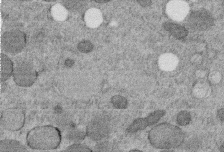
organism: C. elegans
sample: C. elegans embryo early stage